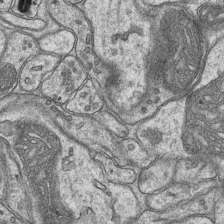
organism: Mouse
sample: CA1 Hippocampus